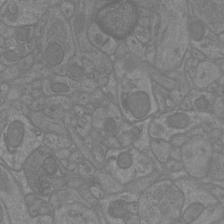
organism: Mouse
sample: Cortical neurons